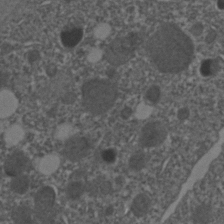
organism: C. elegans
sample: C. elegans embryo